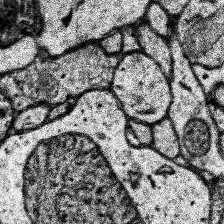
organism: Human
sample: Temporal Lobe